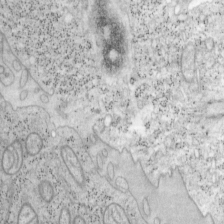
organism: Mouse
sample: OT-I killer T cells with ID8 ovarian cancer cells